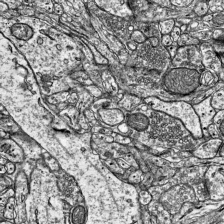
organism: Mouse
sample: Visual Cortex